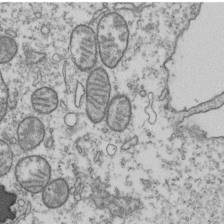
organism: Human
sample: Activated Jurkat CD4+ T cells